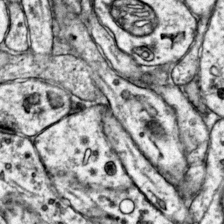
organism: Mouse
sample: Primary visual cortex